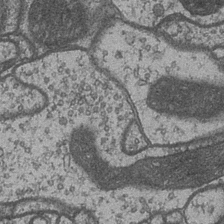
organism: Drosophila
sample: Optic medulla